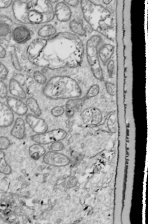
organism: Drosophila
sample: Cell division; meiosis; drosophila spermatocytes